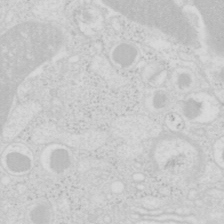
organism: Mouse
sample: Pancreas